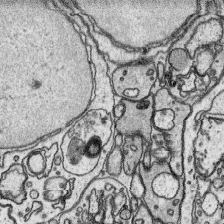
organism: Platynereis dumerilii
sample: Parapodia